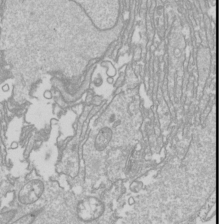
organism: Drosophila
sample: Cell division; meiosis; drosophila spermatocytes